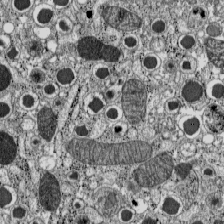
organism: C57BL Mouse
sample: Pancreatic islet